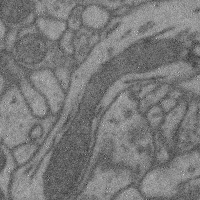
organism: Mouse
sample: Cerebral cortex